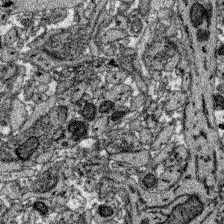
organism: Zebrafish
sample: Larval olfactory bulb